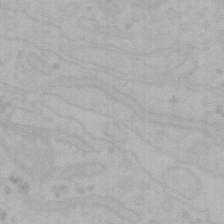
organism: Mouse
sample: Choroid plexus